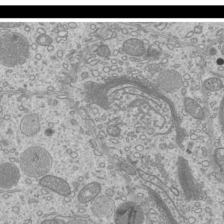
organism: Mouse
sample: Cilia; mouse epididymis